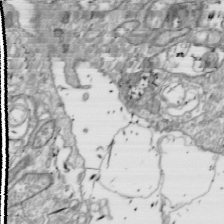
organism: Drosophila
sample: Cell division; meiosis; drosophila spermatocytes